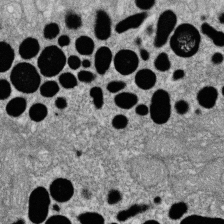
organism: Zebrafish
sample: Cilia; retinal pigment epithelium